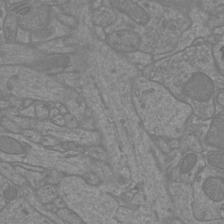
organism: Mouse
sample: Cortical neurons